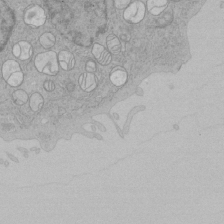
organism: Human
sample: Mitochondria in HCT116 cells